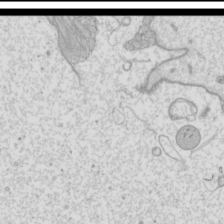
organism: Mouse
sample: Cilia; mouse epididymis